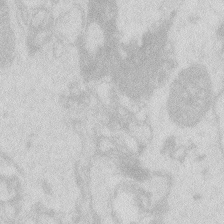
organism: Zebrafish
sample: Macrophage